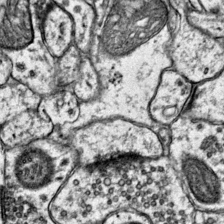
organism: Mouse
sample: Primary visual cortex